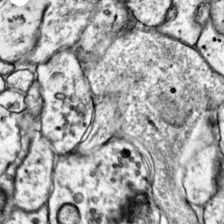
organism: Mouse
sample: Primary visual cortex